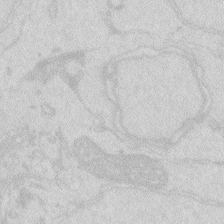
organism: Zebrafish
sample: Macrophage